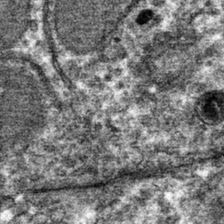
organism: Mouse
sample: Mouse hepatocytes